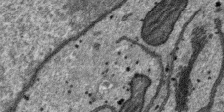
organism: Human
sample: Lung epithelial cells, uninfected (mock) control